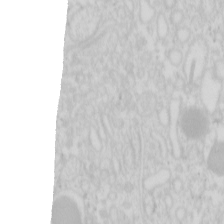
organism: Mouse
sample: Pancreas